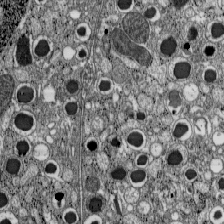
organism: C57BL Mouse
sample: Pancreatic islet